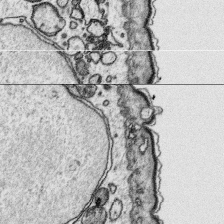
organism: Platynereis dumerilii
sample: Parapodia